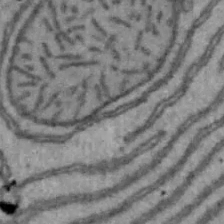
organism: Mouse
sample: Liver